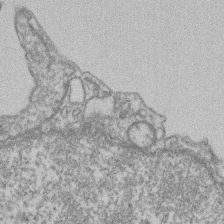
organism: Mouse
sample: T cell stromal cell synapse